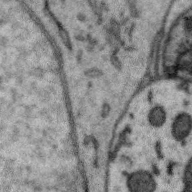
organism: Zebra finch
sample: Brain